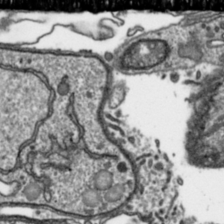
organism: Toxoplasma gondii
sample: Parasites in a vacuole inside a host cell